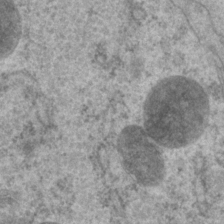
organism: P. pacificus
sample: Pharynx